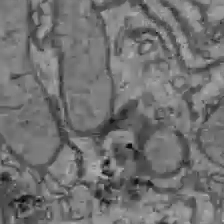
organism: C57BL Mouse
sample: Liver